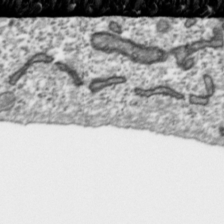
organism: Toxoplasma gondii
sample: Parasites in a vacuole inside a host cell